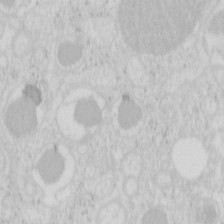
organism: Mouse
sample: Pancreas